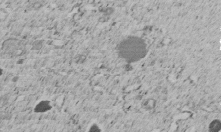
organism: C. elegans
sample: C. elegans embryo early stage